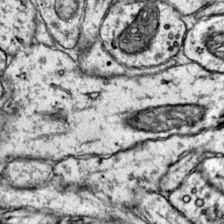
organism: Mouse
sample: Primary visual cortex